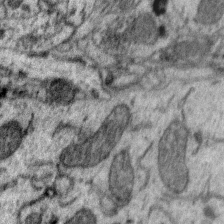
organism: Zebra finch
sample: Brain